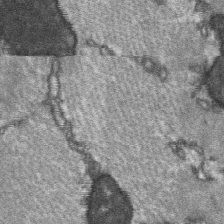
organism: C57BL Mouse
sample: Soleus